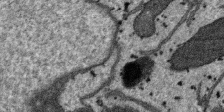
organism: Human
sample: Lung epithelial cells, uninfected (mock) control